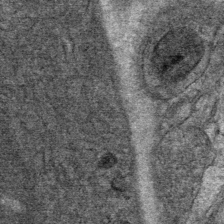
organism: Mouse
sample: Mouse Salivary gland